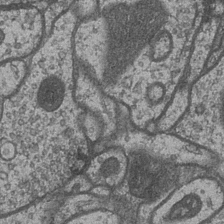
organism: Drosophila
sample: Optic medulla